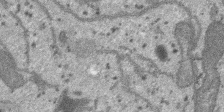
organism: Human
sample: Lung epithelial cells infected with SARS-CoV-2